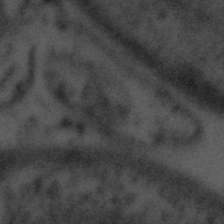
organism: Tuwongella immobilis